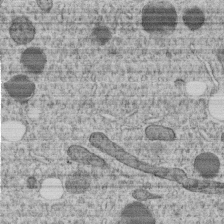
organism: C. elegans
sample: C. elegans embryo early stage